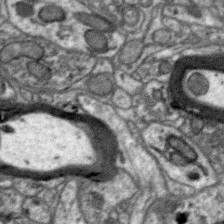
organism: Zebra finch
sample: Brain